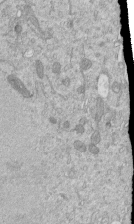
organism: Mouse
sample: ED-1 cell nuclei; centrioles